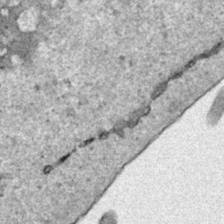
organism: Human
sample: Mitochondria in HCT116 cells